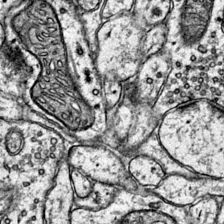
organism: Mouse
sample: Primary visual cortex